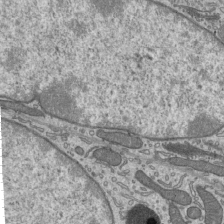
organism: Mouse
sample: Mouse epididymis efferent ductule cilia